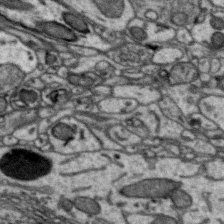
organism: Zebra finch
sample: Brain